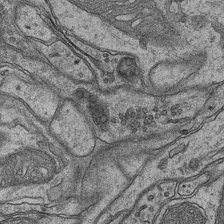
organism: Mouse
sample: CA1 Hippocampus